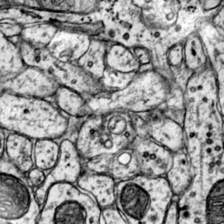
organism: Mouse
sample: Primary visual cortex